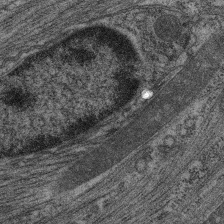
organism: C. elegans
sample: Pharynx